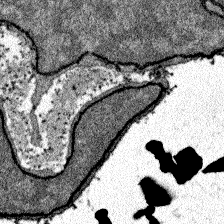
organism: Zebrafish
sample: Larval olfactory bulb